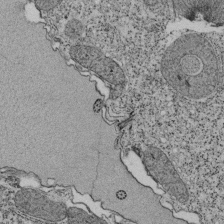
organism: Tetrahymena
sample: Cilia in tetrahymena